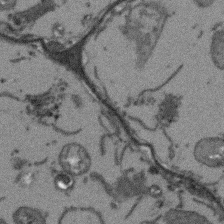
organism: Arabidopsis thaliana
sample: Root tip